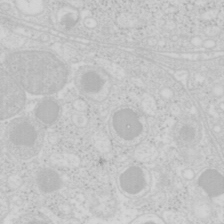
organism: Mouse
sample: Pancreas